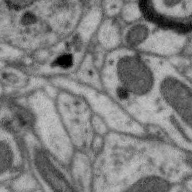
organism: Zebra finch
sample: Brain